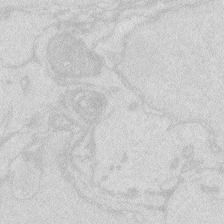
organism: Zebrafish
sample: Macrophage